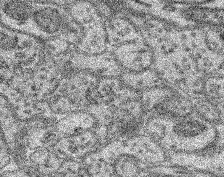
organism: Mouse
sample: Retina